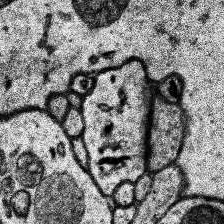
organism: Human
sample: Temporal Lobe